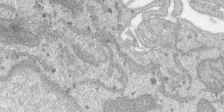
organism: Human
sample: Lung epithelial cells infected with SARS-CoV-2